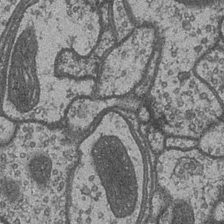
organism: Drosophila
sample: Optic medulla